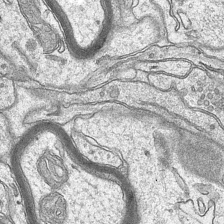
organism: Mouse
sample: CA1 Hippocampus